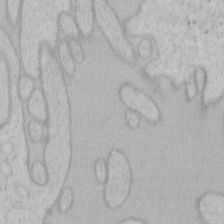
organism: Human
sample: HeLa cells